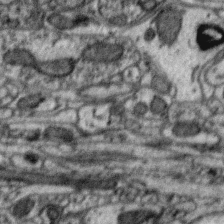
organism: Zebra finch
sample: Brain